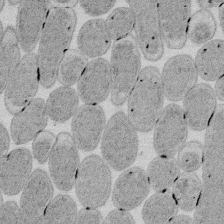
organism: E. coli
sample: Bacterial nucleoid